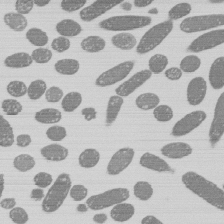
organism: E. coli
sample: Bacterial nucleoid